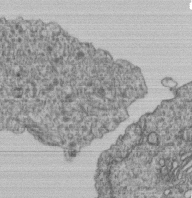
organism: Human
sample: Retinal organoid Rod and Cone cells